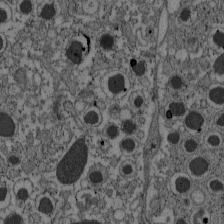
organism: C57BL Mouse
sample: Pancreatic islet